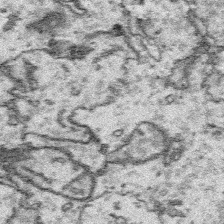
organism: Platynereis dumerilii